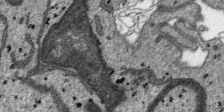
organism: Human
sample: Lung epithelial cells, uninfected (mock) control